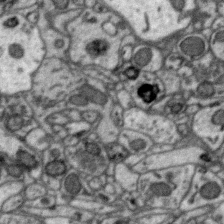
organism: Zebra finch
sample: Brain